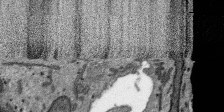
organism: Human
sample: Lung epithelial cells, uninfected (mock) control